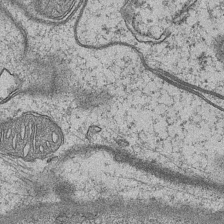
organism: Mouse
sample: CA1 Hippocampus